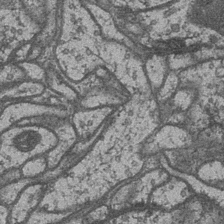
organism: Drosophila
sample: Optic medulla